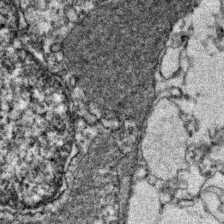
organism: Zebrafish